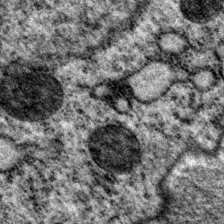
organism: P. pacificus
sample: Pharynx